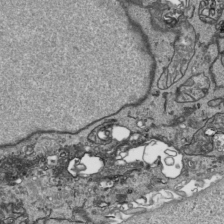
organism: Human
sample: Mitochondria in HCT116 cells